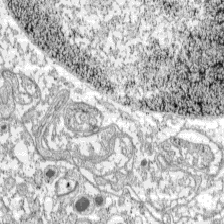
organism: C57BL Mouse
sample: Pancreatic islet